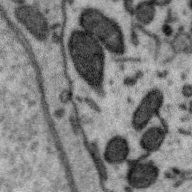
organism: Zebra finch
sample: Brain